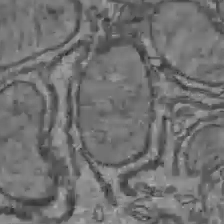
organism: C57BL Mouse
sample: Liver